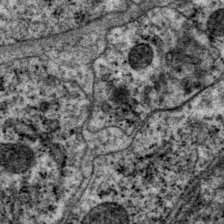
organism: P. pacificus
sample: Pharynx